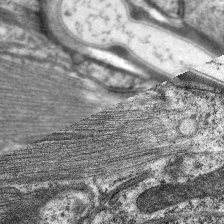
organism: C. elegans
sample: Pharynx